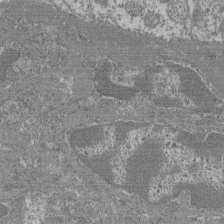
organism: Mouse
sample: Glomerulus